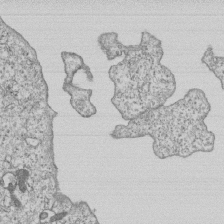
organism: Human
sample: MDA-MB-231 cells